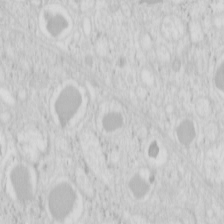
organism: Mouse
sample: Pancreas